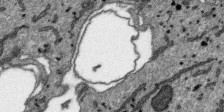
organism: Human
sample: Lung epithelial cells, uninfected (mock) control